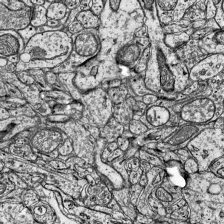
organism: Mouse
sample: Visual Cortex